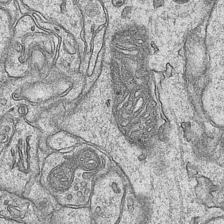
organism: Mouse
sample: CA1 Hippocampus